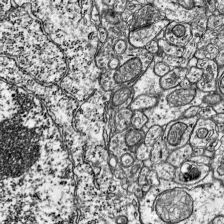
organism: Mouse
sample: Visual Cortex